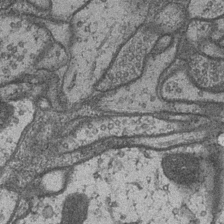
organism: Drosophila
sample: Optic medulla